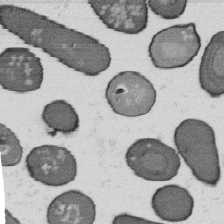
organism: B. subtilis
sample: Bacterial spore